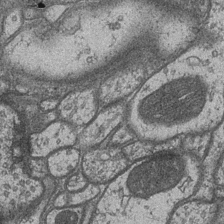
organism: Drosophila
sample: Optic medulla